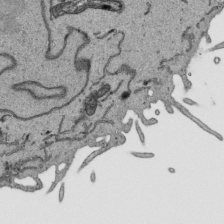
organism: Human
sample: Mitochondria in HCT116 cells